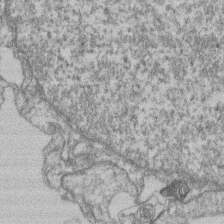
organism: Mouse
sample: T cell stromal cell synapse